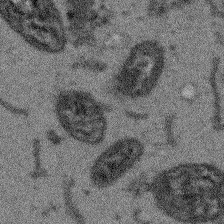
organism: Arabidopsis thaliana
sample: Root tip